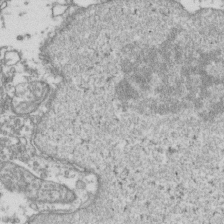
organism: Human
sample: Activated Jurkat CD4+ T cells